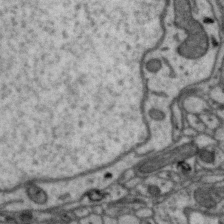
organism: Zebra finch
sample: Brain